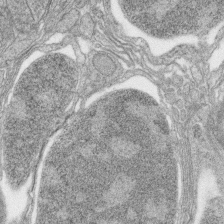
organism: Zebrafish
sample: synaptic ribbons in rod cells and cone cells